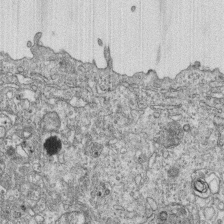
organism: Human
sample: HeLa cell HIV synapse